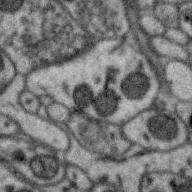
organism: Zebra finch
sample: Brain